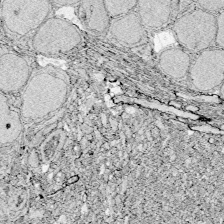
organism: Zebrafish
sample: Whole-Brain